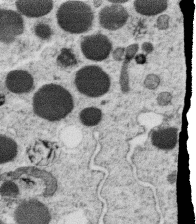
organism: C. elegans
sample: C. elegans oocyte; sperm cells